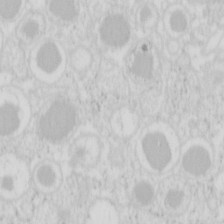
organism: Mouse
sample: Pancreas